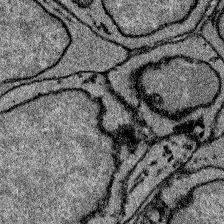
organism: Zebrafish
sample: Larval olfactory bulb